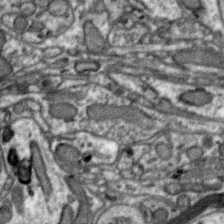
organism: Zebra finch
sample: Brain